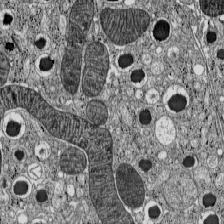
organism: C57BL Mouse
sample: Pancreatic islet